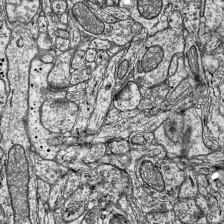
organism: Mouse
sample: Visual Cortex